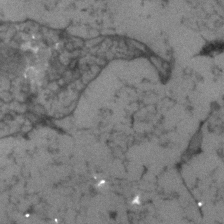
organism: Human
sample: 1205lu cells